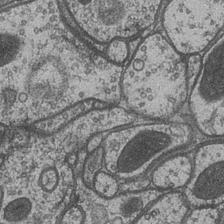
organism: Drosophila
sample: Optic medulla